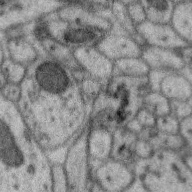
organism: Zebra finch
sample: Brain